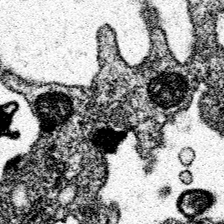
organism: Spongilla lacustris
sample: Neuroid cell